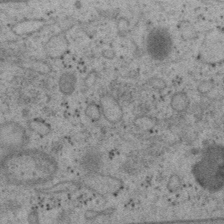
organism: Human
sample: HeLa cells